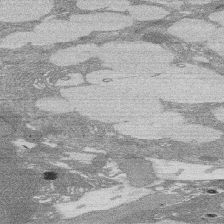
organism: Rat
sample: Salivary granule